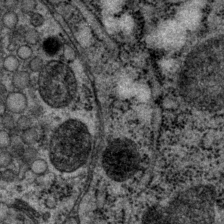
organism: P. pacificus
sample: Pharynx